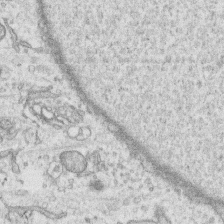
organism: Human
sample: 1205lu cells